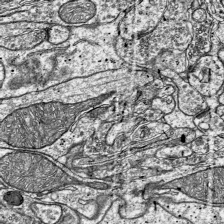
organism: Mouse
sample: Visual Cortex